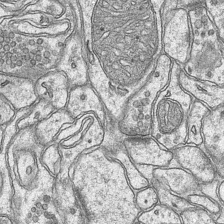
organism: Mouse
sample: CA1 Hippocampus